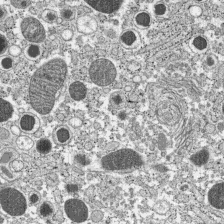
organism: C57BL Mouse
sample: Pancreatic islet